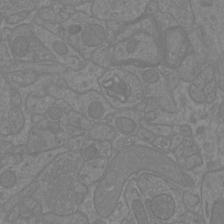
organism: Mouse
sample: Cortical neurons